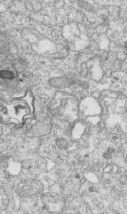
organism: Human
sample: HeLa cell HIV synapse